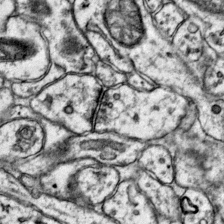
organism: Mouse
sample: Primary visual cortex